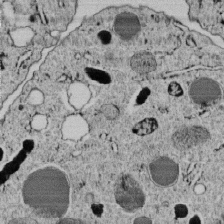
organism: C. elegans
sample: C. elegans embryo early stage